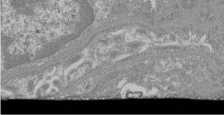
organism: Mouse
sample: Glomerulus